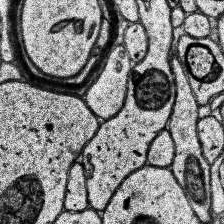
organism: Human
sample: Temporal Lobe